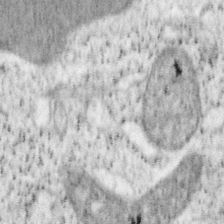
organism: Mouse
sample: OT-I killer T cells with ID8 ovarian cancer cells